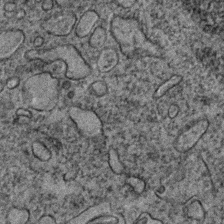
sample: Trachea